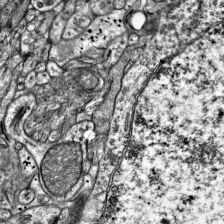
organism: Mouse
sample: Visual Cortex